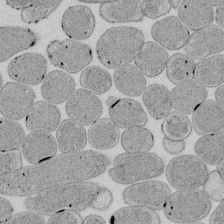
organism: E. coli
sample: Bacterial nucleoid